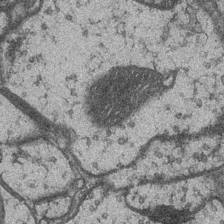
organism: Drosophila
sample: Optic medulla